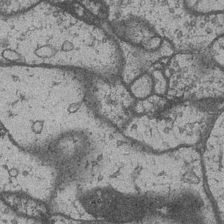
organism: Drosophila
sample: Optic medulla